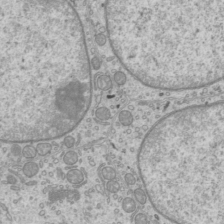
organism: Mouse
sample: Cilia; mouse epididymis